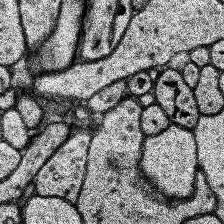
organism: Human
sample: Temporal Lobe